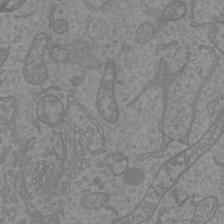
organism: Mouse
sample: Cortical neurons